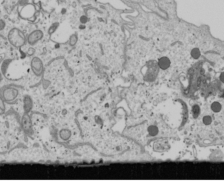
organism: Human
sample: Mitochondria in U2OS cells